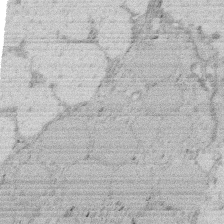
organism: Rat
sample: Salivary granule